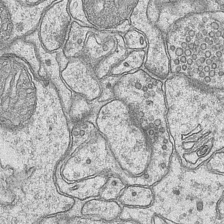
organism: Mouse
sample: CA1 Hippocampus